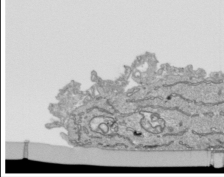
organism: Human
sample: Mitochondria in HCT116 cells